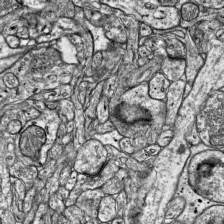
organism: Mouse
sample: Visual Cortex